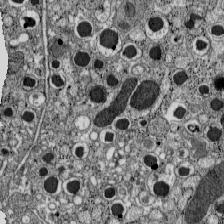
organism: C57BL Mouse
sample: Pancreatic islet